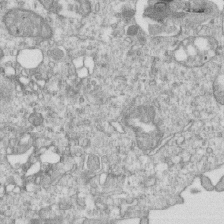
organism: Mouse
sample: Activated OT-1 CD8+ T cells